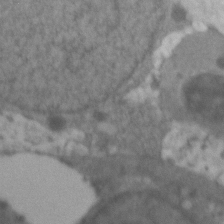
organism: Zebrafish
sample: Zebrafish embryo